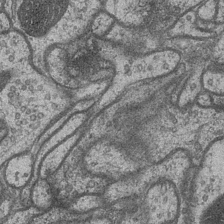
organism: Drosophila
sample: Optic medulla